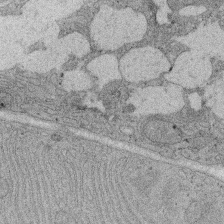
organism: Rat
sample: Salivary granule